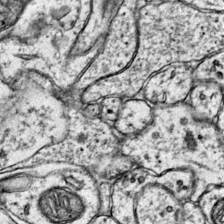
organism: Mouse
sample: Primary visual cortex